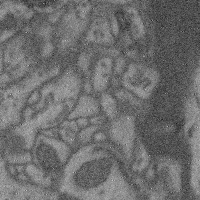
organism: Mouse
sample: Cerebral cortex